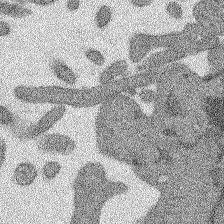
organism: Human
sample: HeLa cells